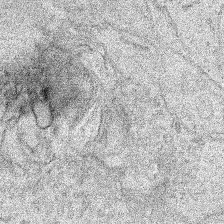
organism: Human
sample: Mitochondria in HCT116 cells